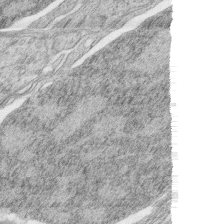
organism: Zebrafish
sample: synaptic ribbons in rod cells and cone cells